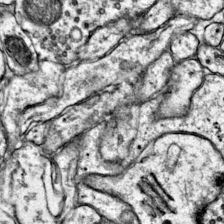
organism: Mouse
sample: Primary visual cortex